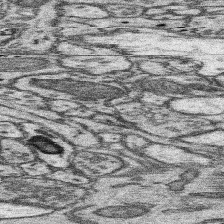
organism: Mouse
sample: Somatosensory cortex neuropil